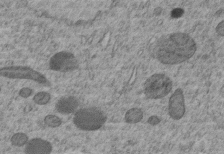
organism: C. elegans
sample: C. elegans embryo early stage